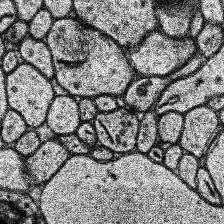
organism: Human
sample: Temporal Lobe